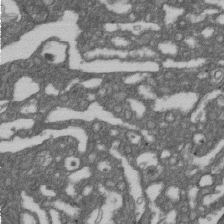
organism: Drosophila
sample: Nephrocyte